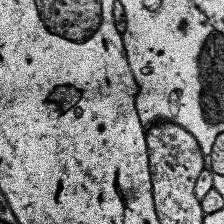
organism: Human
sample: Temporal Lobe